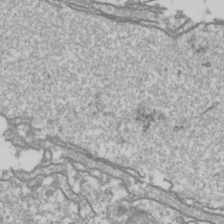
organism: Drosophila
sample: Cell division; meiosis; drosophila spermatocytes